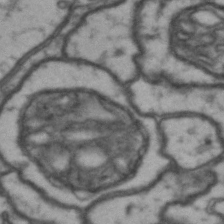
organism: Drosophila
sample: Brain